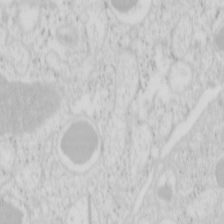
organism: Mouse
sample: Pancreas